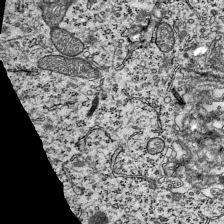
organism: Mouse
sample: Visual Cortex